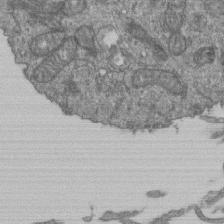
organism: Human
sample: Retinal organoid Rod and Cone cells